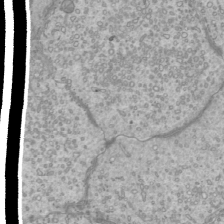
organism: Mouse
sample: Cilia; mouse epididymis